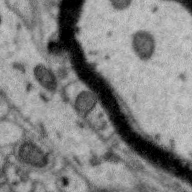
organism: Zebra finch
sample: Brain